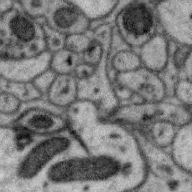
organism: Zebra finch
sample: Brain